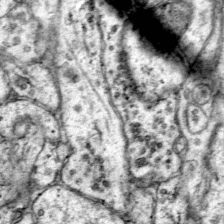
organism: Mouse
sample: Primary visual cortex